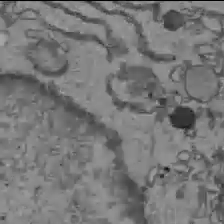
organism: C57BL Mouse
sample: Liver